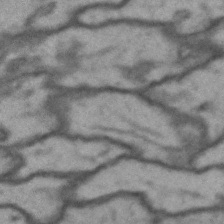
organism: Drosophila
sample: Brain